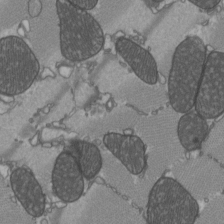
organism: C57BL Mouse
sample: Heart